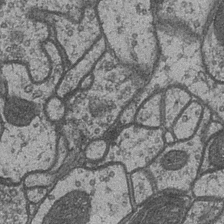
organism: Drosophila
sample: Optic medulla